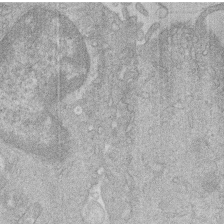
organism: Human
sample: Macrophage cells